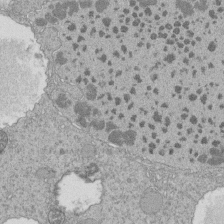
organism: Tetrahymena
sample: Cilia in tetrahymena